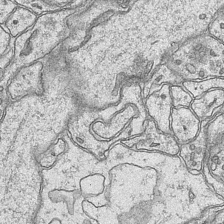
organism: Mouse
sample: CA1 Hippocampus